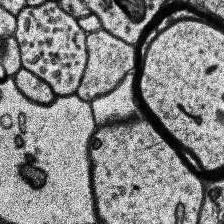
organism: Human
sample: Temporal Lobe